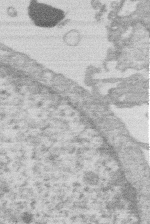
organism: Human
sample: Macrophage cells